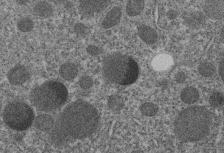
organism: C. elegans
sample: C. elegans embryo early stage